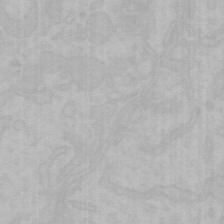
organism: Mouse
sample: Choroid plexus